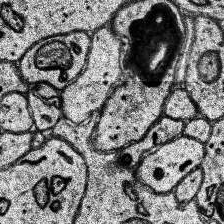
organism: Human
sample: Temporal Lobe